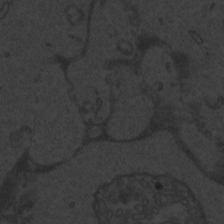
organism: Zebrafish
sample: Macrophage infected with Toxoplasma gondii